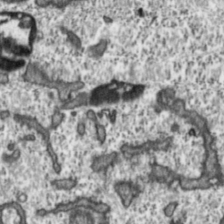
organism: Toxoplasma gondii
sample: Parasites in a vacuole inside a host cell